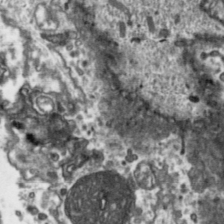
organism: Toxoplasma gondii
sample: Parasites in a vacuole inside a host cell